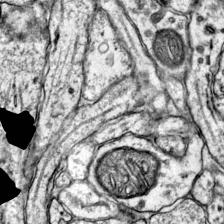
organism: Mouse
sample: Primary visual cortex